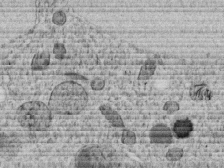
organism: C. elegans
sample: C. elegans embryo early stage